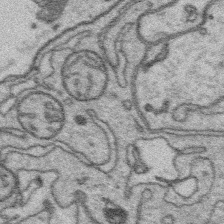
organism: Platynereis dumerilii